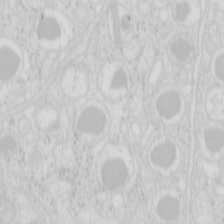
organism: Mouse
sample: Pancreas